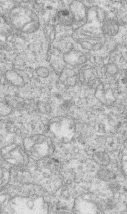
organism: Human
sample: HeLa cell HIV synapse